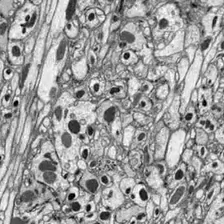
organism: Drosophila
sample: Optic lobe